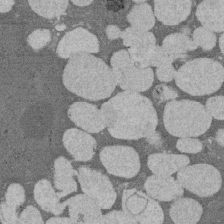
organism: Rat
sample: Salivary granule